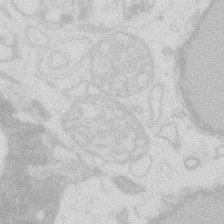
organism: Zebrafish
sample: Macrophage